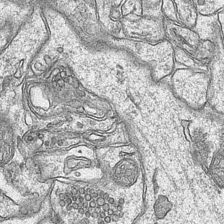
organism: Mouse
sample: CA1 Hippocampus